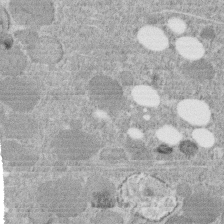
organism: C. elegans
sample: C. elegans embryo early stage